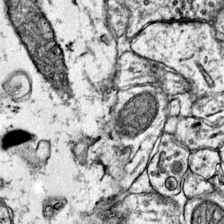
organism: Mouse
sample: Primary visual cortex